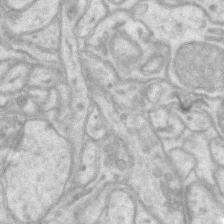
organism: Mouse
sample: CA1 Hippocampus